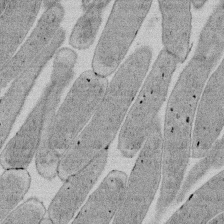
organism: E. coli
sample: Bacterial nucleoid